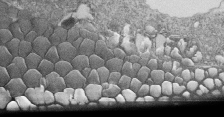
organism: Tetrahymena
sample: Cilia in tetrahymena